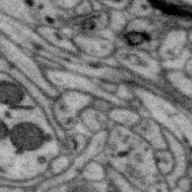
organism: Zebra finch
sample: Brain